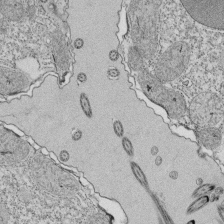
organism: Tetrahymena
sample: Cilia in tetrahymena